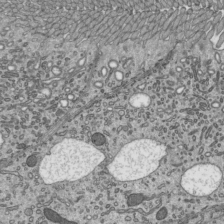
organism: Mouse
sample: Mouse epididymis efferent ductule cilia